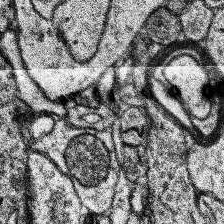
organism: Human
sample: Temporal Lobe